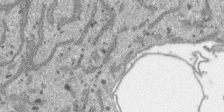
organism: Human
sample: Lung epithelial cells infected with SARS-CoV-2